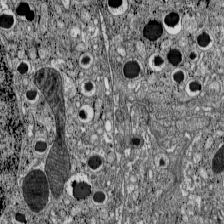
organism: C57BL Mouse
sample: Pancreatic islet